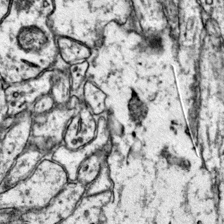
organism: Mouse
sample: Primary visual cortex